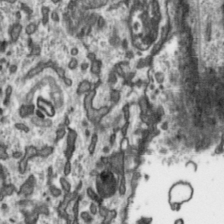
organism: Toxoplasma gondii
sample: Parasites in a vacuole inside a host cell